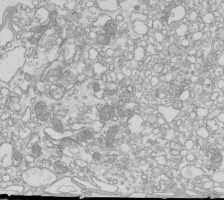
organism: Mouse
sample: Macrophages